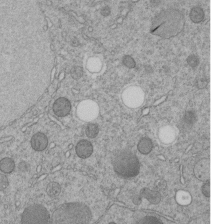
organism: C. elegans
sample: C. elegans embryo early stage